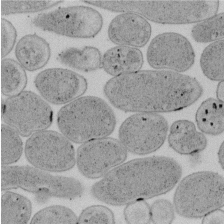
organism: E. coli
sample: Bacterial nucleoid